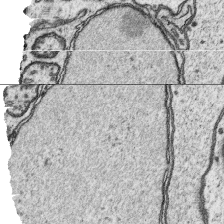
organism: Platynereis dumerilii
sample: Parapodia